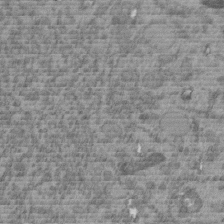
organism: C. elegans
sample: C. elegans embryo early stage